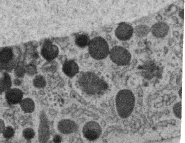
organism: C. elegans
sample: C. elegans oocyte; sperm cells